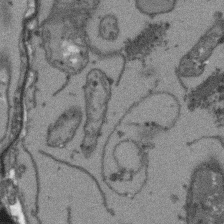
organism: Arabidopsis thaliana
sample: Root tip